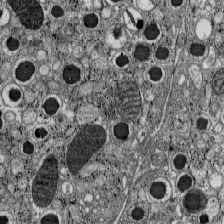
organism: C57BL Mouse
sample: Pancreatic islet